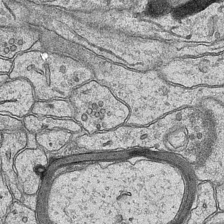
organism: Mouse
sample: CA1 Hippocampus